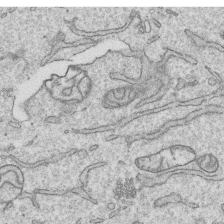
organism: Human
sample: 1205lu cells